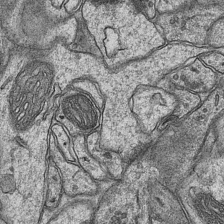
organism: Mouse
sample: CA1 Hippocampus